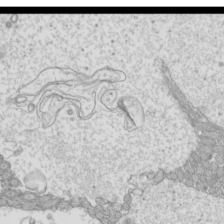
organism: Mouse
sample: Cilia; mouse epididymis